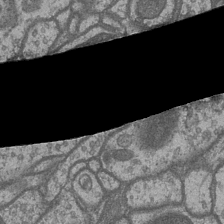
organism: Drosophila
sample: Optic medulla